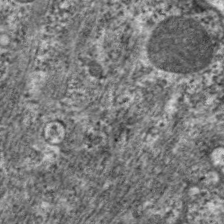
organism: C. elegans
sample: Pharynx